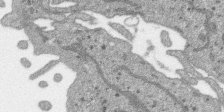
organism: Human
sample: Lung epithelial cells infected with SARS-CoV-2